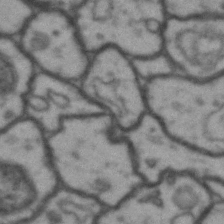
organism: Drosophila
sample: Brain